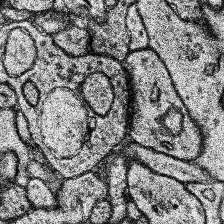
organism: Human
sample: Temporal Lobe